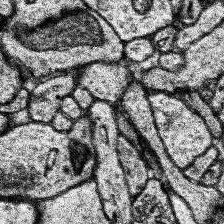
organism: Human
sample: Temporal Lobe